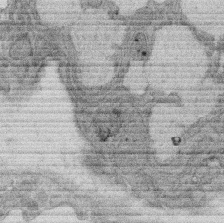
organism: Rat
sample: Salivary granule